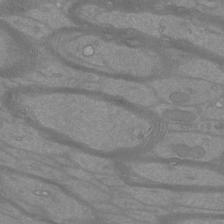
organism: Mouse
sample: Cortical neurons